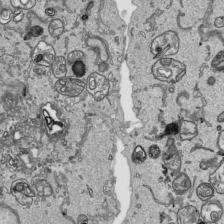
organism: Human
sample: Mitochondria in HCT116 cells